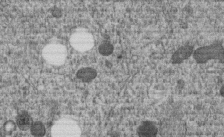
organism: C. elegans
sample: C. elegans embryo early stage